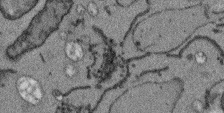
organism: Arabidopsis thaliana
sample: Root tip